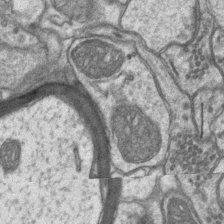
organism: Mouse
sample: CA1 Hippocampus